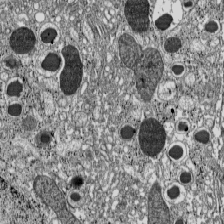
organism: C57BL Mouse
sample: Pancreatic islet